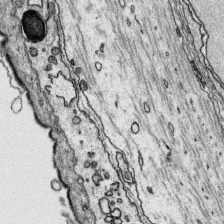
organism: Platynereis dumerilii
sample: Parapodia